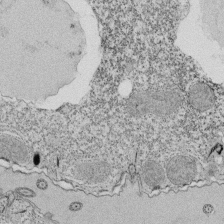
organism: Tetrahymena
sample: Cilia in tetrahymena